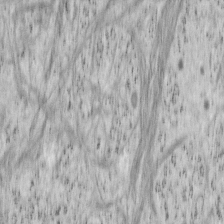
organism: Human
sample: HeLa cells